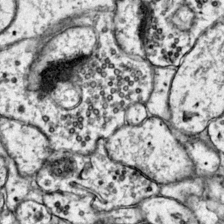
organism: Mouse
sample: Primary visual cortex